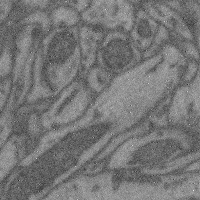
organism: Mouse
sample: Cerebral cortex